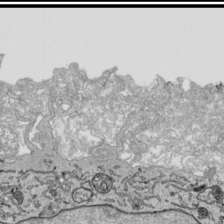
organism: Human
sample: Mitochondria in HCT116 cells